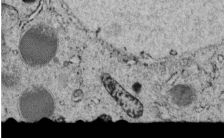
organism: C. elegans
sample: C. elegans embryo early stage